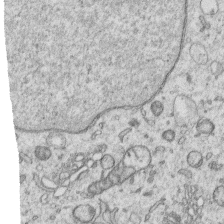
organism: Human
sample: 1205lu cells